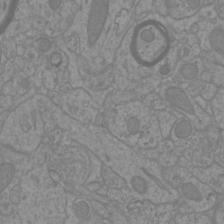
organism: Mouse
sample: Cortical neurons